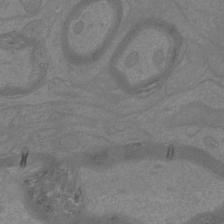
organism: Mouse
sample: Cortical neurons